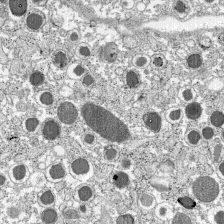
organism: C57BL Mouse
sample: Pancreatic islet